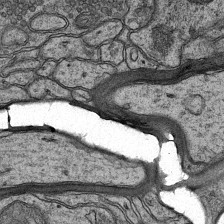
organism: Mouse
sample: CA1 Hippocampus